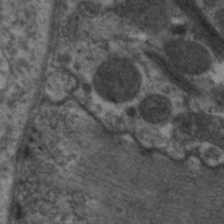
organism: C. elegans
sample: Pharynx